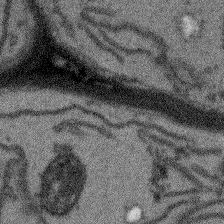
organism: Arabidopsis thaliana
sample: Root tip